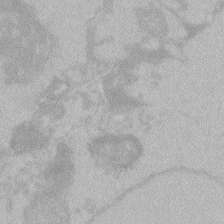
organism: Zebrafish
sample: Macrophage infected with Toxoplasma gondii